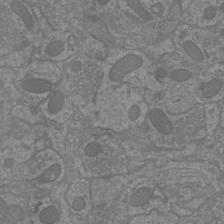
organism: Mouse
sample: Cortical neurons